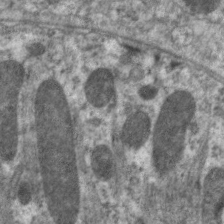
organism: C. elegans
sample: Pharynx